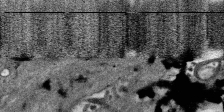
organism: Human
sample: Lung epithelial cells, uninfected (mock) control